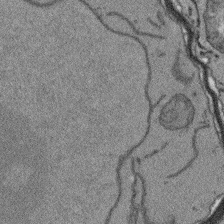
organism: Arabidopsis thaliana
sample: Root tip